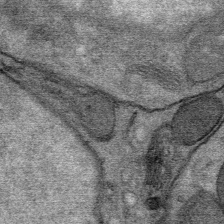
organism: Mouse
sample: Mouse Salivary gland